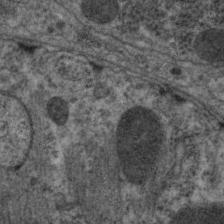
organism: C. elegans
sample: Pharynx